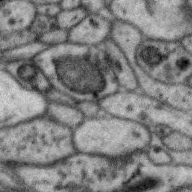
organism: Zebra finch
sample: Brain